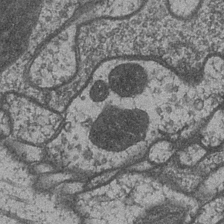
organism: Drosophila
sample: Optic medulla